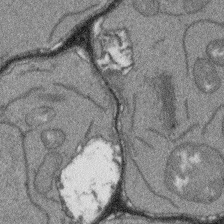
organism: Arabidopsis thaliana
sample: Root tip